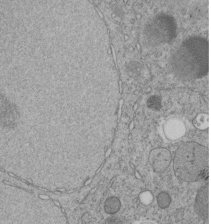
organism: C. elegans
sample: C. elegans embryo early stage